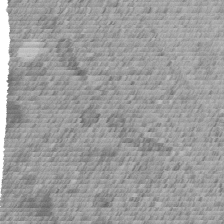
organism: C. elegans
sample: C. elegans embryo early stage